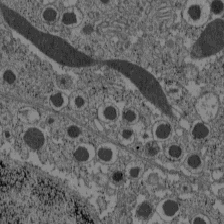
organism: C57BL Mouse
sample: Pancreatic islet